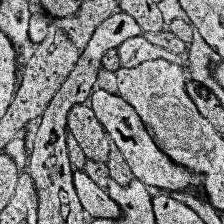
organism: Human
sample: Temporal Lobe